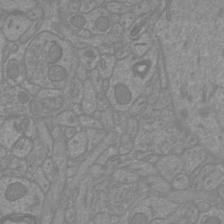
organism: Mouse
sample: Cortical neurons